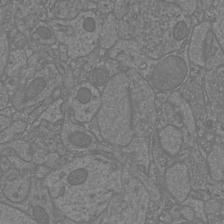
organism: Mouse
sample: Cortical neurons